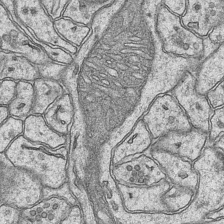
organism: Mouse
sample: CA1 Hippocampus